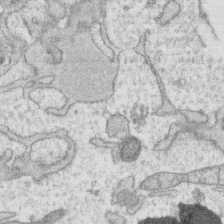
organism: Human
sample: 1205lu cells